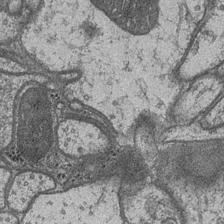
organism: Drosophila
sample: Optic medulla